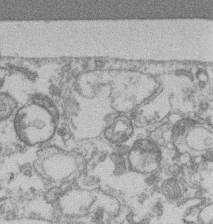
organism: Mouse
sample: T cell stromal cell synapse